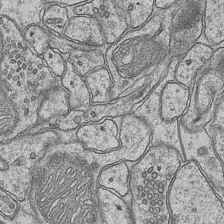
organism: Mouse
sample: CA1 Hippocampus